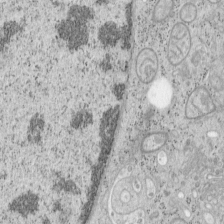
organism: Mouse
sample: OT-I killer T cells with ID8 ovarian cancer cells